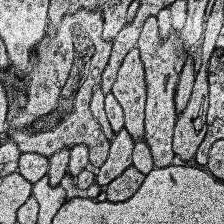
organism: Human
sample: Temporal Lobe